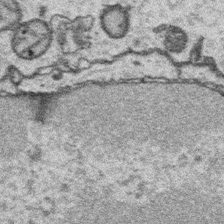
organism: Platynereis dumerilii